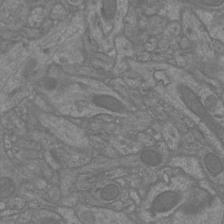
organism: Mouse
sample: Cortical neurons